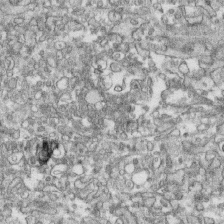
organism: Human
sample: CRL-1474